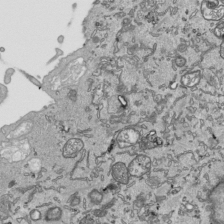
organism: Human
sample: Mitochondria in HCT116 cells